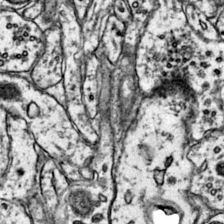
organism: Mouse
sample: Primary visual cortex